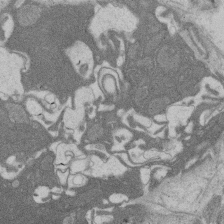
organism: Rat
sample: Salivary granule